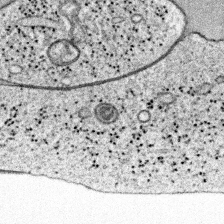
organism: Human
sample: HeLa cells